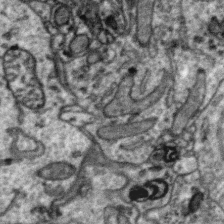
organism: Zebra finch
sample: Brain